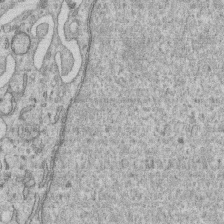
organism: Human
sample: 1205lu cells